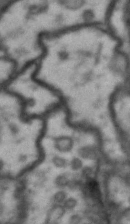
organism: Drosophila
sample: Brain